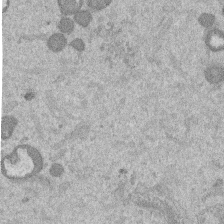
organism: Mouse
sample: Dividing mouse embryo 1 cell stage